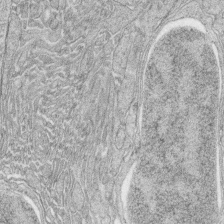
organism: Zebrafish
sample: synaptic ribbons in rod cells and cone cells